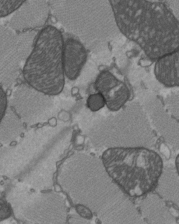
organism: C57BL Mouse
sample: Heart